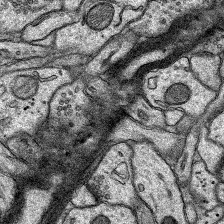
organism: Rat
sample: Hippocampus